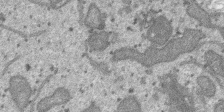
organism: Human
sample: Lung epithelial cells infected with SARS-CoV-2